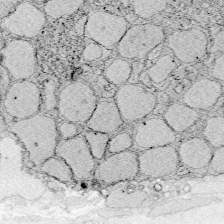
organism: Zebrafish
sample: Whole-Brain